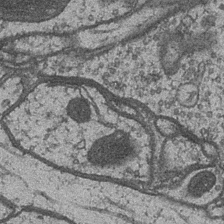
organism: Drosophila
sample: Optic medulla